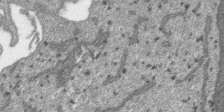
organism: Human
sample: Lung epithelial cells infected with SARS-CoV-2